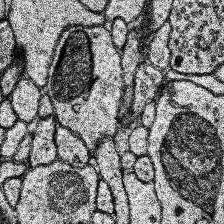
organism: Human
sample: Temporal Lobe